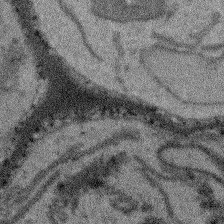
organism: Arabidopsis thaliana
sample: Root tip